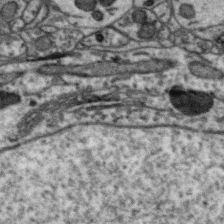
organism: Zebra finch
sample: Brain